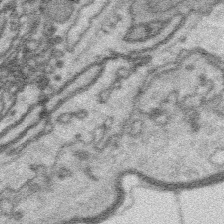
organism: Platynereis dumerilii